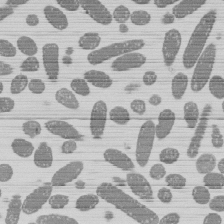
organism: E. coli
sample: Bacterial nucleoid